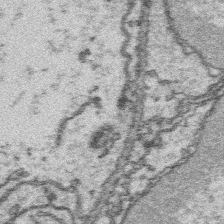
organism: Platynereis dumerilii